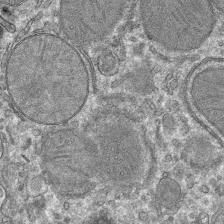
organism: Mouse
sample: Mouse hepatocytes